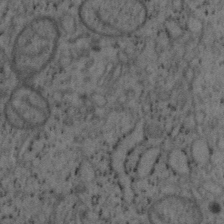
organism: Human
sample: HeLa cells